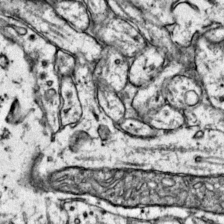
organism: Mouse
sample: Primary visual cortex